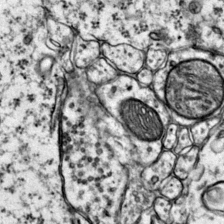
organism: Mouse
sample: Primary visual cortex